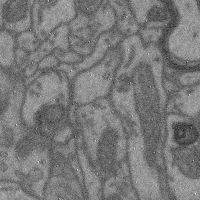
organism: Mouse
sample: Cerebral cortex